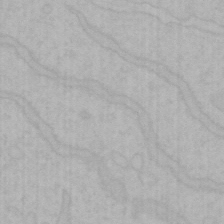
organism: Mouse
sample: Choroid plexus